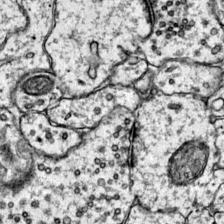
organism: Mouse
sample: Primary visual cortex